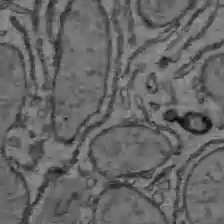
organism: C57BL Mouse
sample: Liver